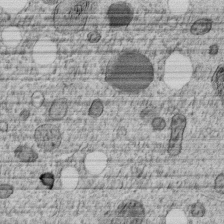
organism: C. elegans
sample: C. elegans embryo early stage